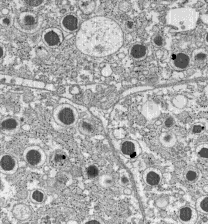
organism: C57BL Mouse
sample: Pancreatic islet